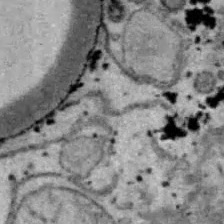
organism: Mouse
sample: Liver from an obese (ob/ob) mouse